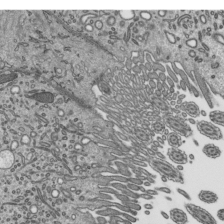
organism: Mouse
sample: Mouse epididymis efferent ductule cilia